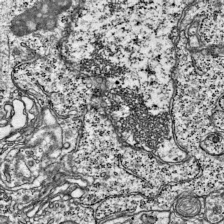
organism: Mouse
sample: Visual Cortex